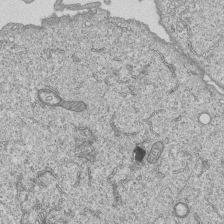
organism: Human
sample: MDA-MB-231 cells